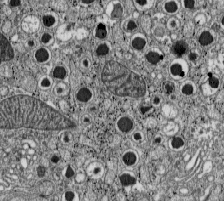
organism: C57BL Mouse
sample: Pancreatic islet